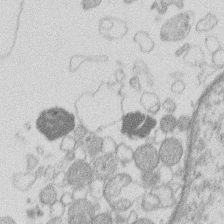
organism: Human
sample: Macrophage cells